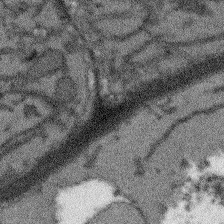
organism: Arabidopsis thaliana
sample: Root tip